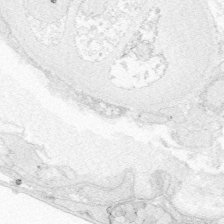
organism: Zebrafish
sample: Whole-Brain